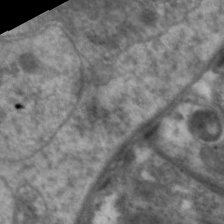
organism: C. elegans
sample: Pharynx